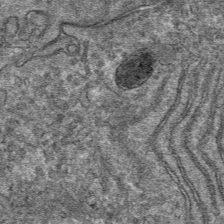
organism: Mouse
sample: Mouse hepatocytes